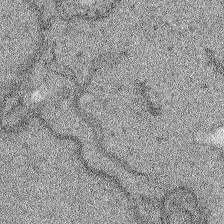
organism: Human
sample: HeLa cells